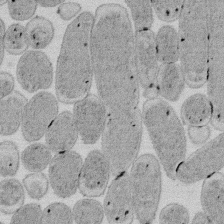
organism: E. coli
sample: Bacterial nucleoid